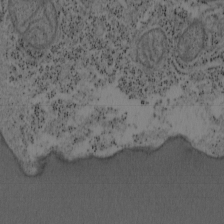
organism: Mouse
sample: OT-I killer T cells with ID8 ovarian cancer cells